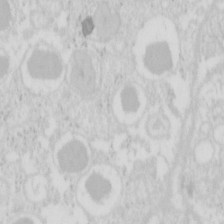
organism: Mouse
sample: Pancreas